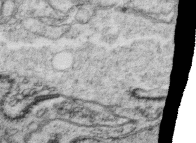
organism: C. elegans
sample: C. elegans oocyte; sperm cells